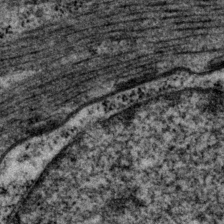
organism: P. pacificus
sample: Pharynx